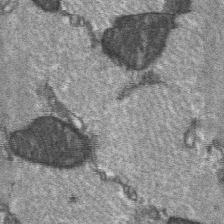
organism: C57BL Mouse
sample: Soleus